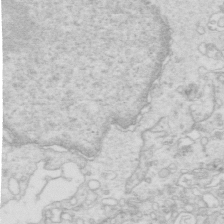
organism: Mouse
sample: Multiciliated cells